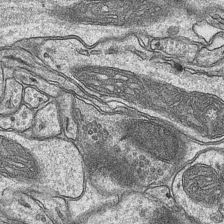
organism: Mouse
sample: CA1 Hippocampus